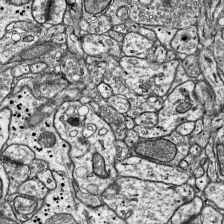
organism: Mouse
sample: Visual Cortex